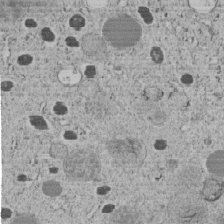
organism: C. elegans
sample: C. elegans embryo early stage